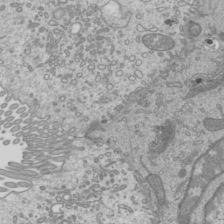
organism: Mouse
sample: Cilia; mouse epididymis